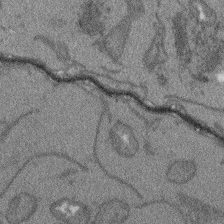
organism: Arabidopsis thaliana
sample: Root tip